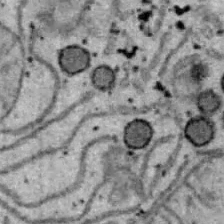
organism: Mouse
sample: Liver from an obese (ob/ob) mouse